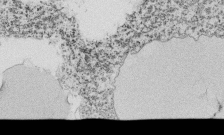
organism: Tetrahymena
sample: Cilia in tetrahymena